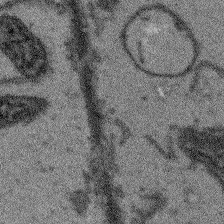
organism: Arabidopsis thaliana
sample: Root tip